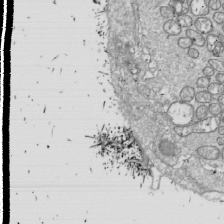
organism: Drosophila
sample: Cell division; meiosis; drosophila spermatocytes